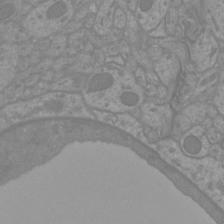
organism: Mouse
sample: Cortical neurons